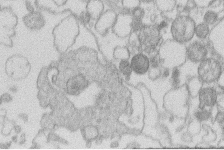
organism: Human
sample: Macrophage cells